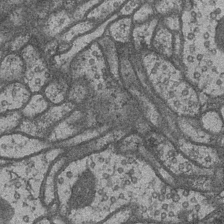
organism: Drosophila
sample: Optic medulla